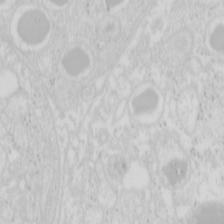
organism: Mouse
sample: Pancreas